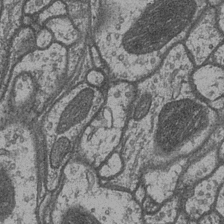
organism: Drosophila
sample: Optic medulla